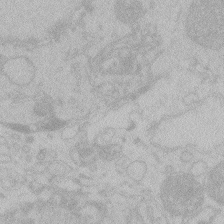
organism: Zebrafish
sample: Macrophage infected with Toxoplasma gondii